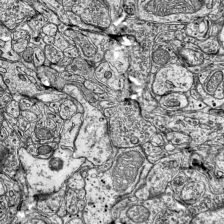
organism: Mouse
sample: Visual Cortex